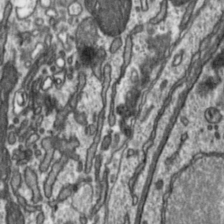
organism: Toxoplasma gondii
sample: Parasites in a vacuole inside a host cell